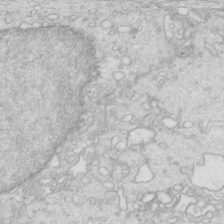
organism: Mouse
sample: Multiciliated cells